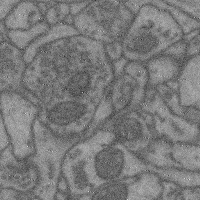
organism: Mouse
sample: Cerebral cortex